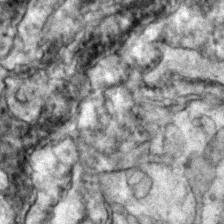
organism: Zebrafish